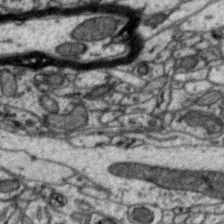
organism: Zebra finch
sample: Brain